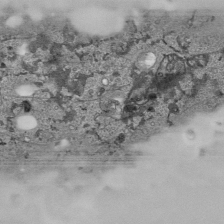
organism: Human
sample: Mitochondria in HCT116 cells